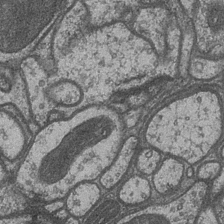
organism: Drosophila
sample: Optic medulla